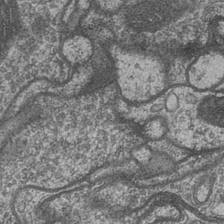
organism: Drosophila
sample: Optic medulla